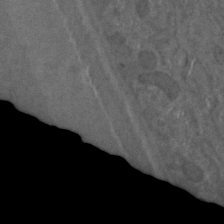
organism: C. elegans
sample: C. elegans embryo